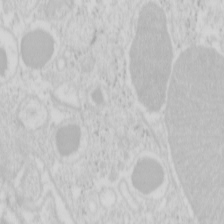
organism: Mouse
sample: Pancreas